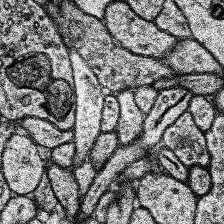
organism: Human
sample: Temporal Lobe